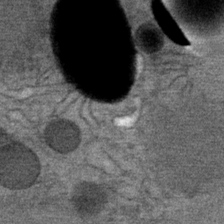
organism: Mouse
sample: Mouse Salivary gland